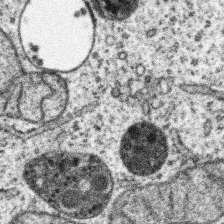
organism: Human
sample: HeLa cells